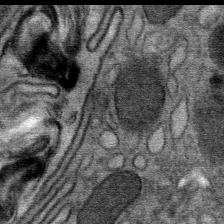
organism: Mouse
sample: Mouse Salivary gland